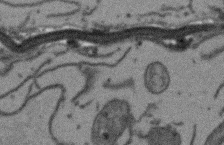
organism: Arabidopsis thaliana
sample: Root tip